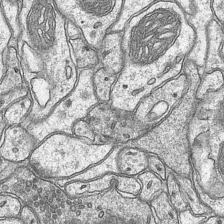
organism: Mouse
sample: CA1 Hippocampus